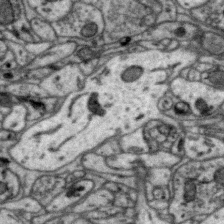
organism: Zebra finch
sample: Brain